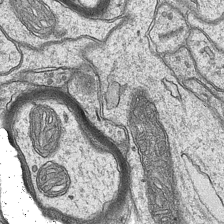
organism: Mouse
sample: CA1 Hippocampus